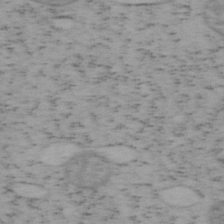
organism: Mouse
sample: OT-I killer T cells with ID8 ovarian cancer cells